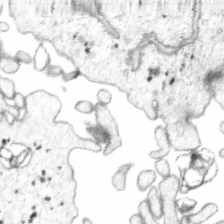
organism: Human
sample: HeLa cells